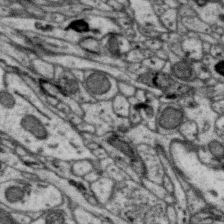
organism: Zebra finch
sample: Brain